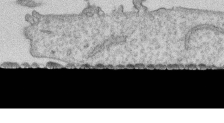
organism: Human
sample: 1205lu cells